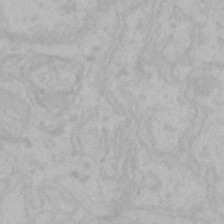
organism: Mouse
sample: Choroid plexus